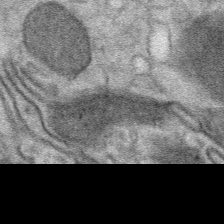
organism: Mouse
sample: Mouse Salivary gland